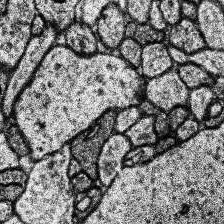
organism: Human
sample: Temporal Lobe